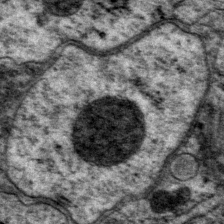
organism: P. pacificus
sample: Pharynx